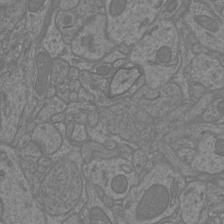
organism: Mouse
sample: Cortical neurons